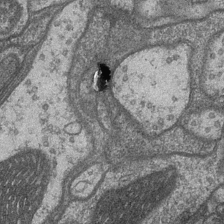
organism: Drosophila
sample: Optic medulla